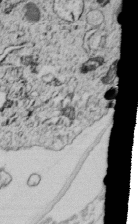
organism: C. elegans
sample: C. elegans embryo early stage